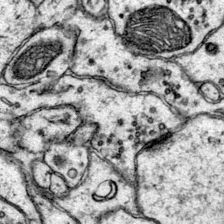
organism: Mouse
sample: Primary visual cortex